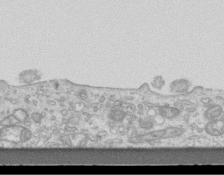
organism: Mouse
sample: Centriole in ependymal cells